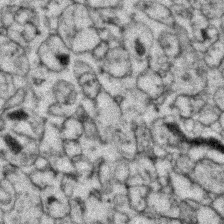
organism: Zebrafish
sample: Zebrafish embryo